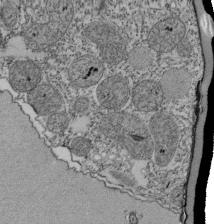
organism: Tetrahymena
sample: Cilia in tetrahymena